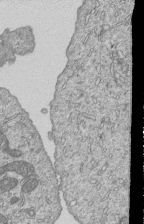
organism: Human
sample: MDA-MB-231 cells